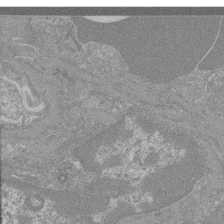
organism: Mouse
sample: Glomerulus